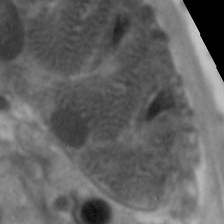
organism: C. elegans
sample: Pharynx